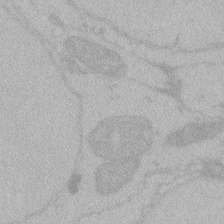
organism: Zebrafish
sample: Macrophage infected with Toxoplasma gondii